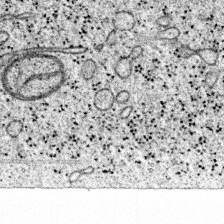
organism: Human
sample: HeLa cells